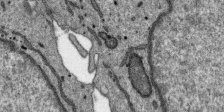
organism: Human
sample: Lung epithelial cells, uninfected (mock) control